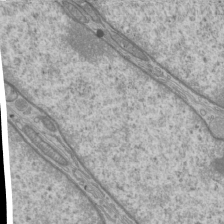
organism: Mouse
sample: Cilia; mouse epididymis